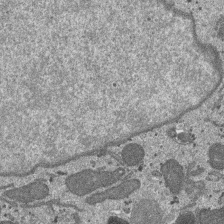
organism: Human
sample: Lung epithelial cells infected with SARS-CoV-2